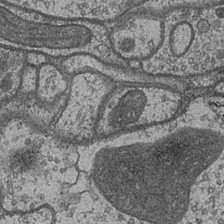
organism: Drosophila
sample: Optic medulla